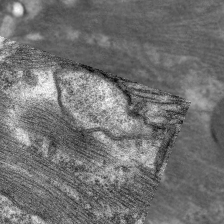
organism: C. elegans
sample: Pharynx